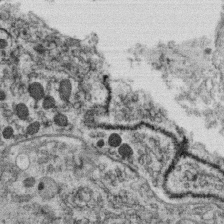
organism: C. elegans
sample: C. elegans oocyte; sperm cells